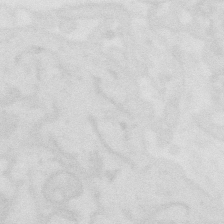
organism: Human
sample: HeLa cells